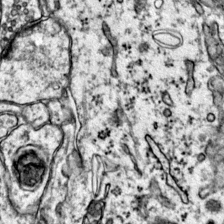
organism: Mouse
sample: Primary visual cortex